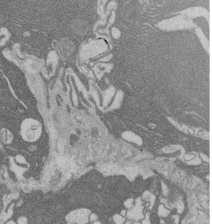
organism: Rat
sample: Salivary granule